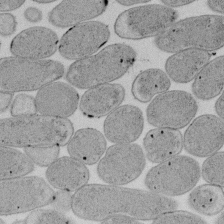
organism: E. coli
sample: Bacterial nucleoid